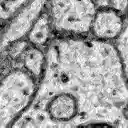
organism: Zebrafish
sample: Brain